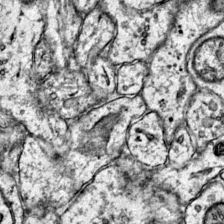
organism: Mouse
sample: Primary visual cortex